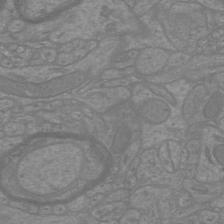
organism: Mouse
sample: Cortical neurons